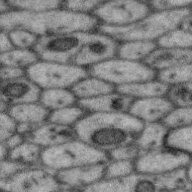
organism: Zebra finch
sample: Brain